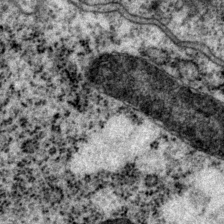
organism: P. pacificus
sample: Pharynx